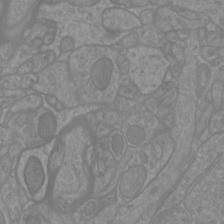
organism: Mouse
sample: Cortical neurons